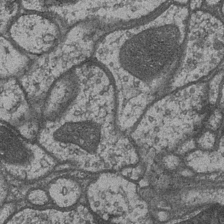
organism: Drosophila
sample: Optic medulla